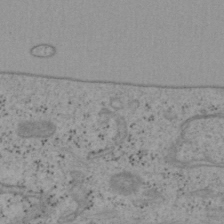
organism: Human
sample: HeLa cells